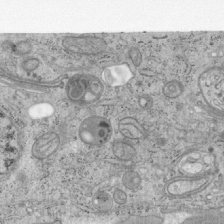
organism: Human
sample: HeLa cells